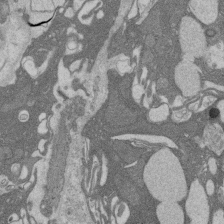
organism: Rat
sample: Salivary granule